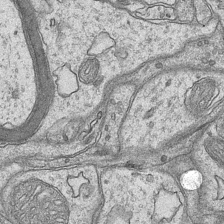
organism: Mouse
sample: CA1 Hippocampus